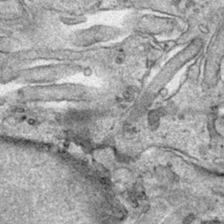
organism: Human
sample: Mitochondria in HCT116 cells